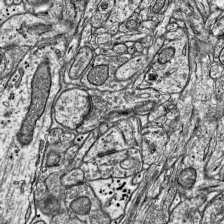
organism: Mouse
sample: Visual Cortex